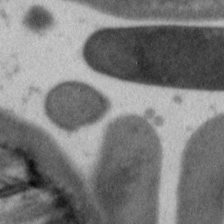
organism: C. elegans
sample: Pharynx